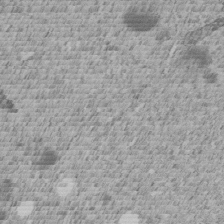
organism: C. elegans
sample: C. elegans embryo early stage